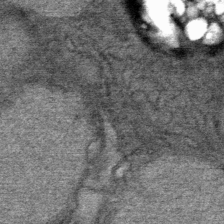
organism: Mouse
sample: Mouse Salivary gland